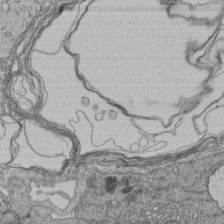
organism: Human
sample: Retinal organoid Rod and Cone cells